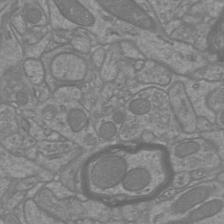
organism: Mouse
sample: Cortical neurons